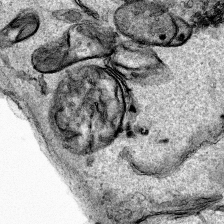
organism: Human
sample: Mitochondria in HCT116 cells